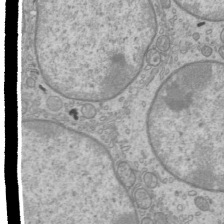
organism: Mouse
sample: Cilia; mouse epididymis